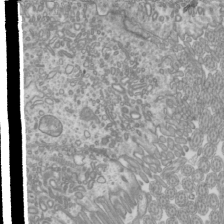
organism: Mouse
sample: Cilia; mouse epididymis